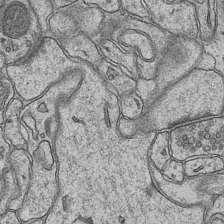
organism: Mouse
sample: CA1 Hippocampus